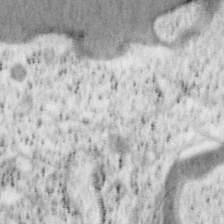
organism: Mouse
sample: OT-I killer T cells with ID8 ovarian cancer cells